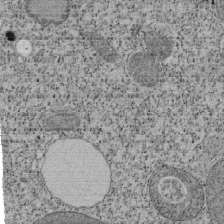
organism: Tetrahymena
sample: Cilia in tetrahymena